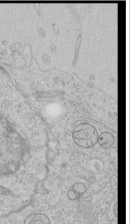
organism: Human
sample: Mitochondria in HCT116 cells